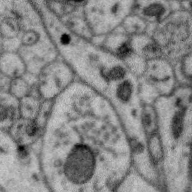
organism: Zebra finch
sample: Brain